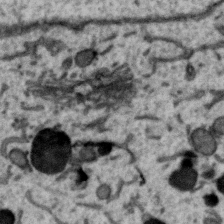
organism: Zebra finch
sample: Brain